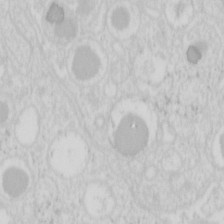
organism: Mouse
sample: Pancreas